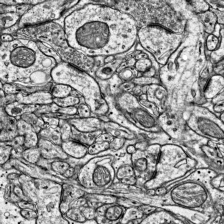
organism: Mouse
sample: Visual Cortex